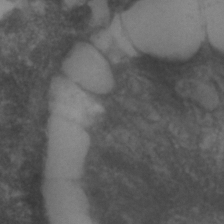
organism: C. elegans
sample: C. elegans embryo